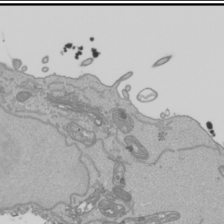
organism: Human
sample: Mitochondria in HCT116 cells